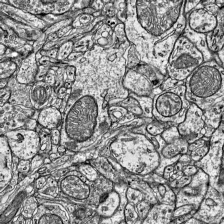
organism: Mouse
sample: Visual Cortex